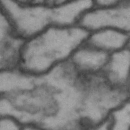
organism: Drosophila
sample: Brain